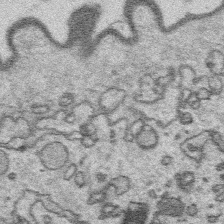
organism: Platynereis dumerilii